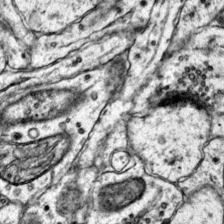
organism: Mouse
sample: Primary visual cortex